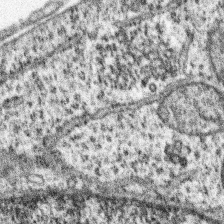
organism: Human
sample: HeLa cells